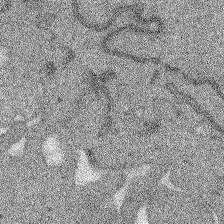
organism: Human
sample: HeLa cells